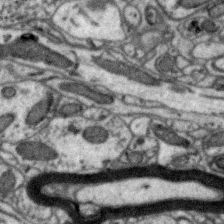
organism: Zebra finch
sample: Brain